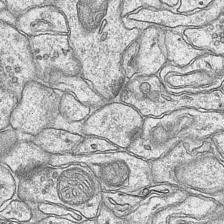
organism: Mouse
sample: CA1 Hippocampus